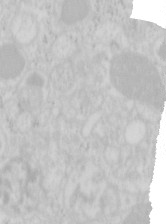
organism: Mouse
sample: Pancreas